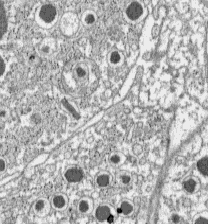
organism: C57BL Mouse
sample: Pancreatic islet